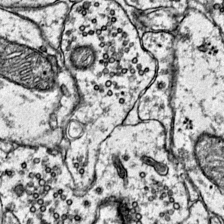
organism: Mouse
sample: Primary visual cortex